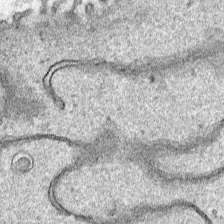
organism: Human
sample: Mitochondria in HCT116 cells